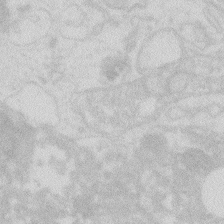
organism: Zebrafish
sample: Macrophage